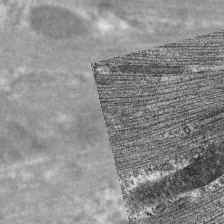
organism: C. elegans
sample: Pharynx